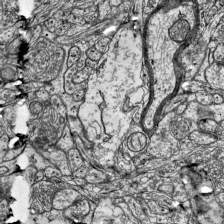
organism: Mouse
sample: Visual Cortex